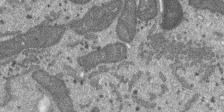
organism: Human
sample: Lung epithelial cells infected with SARS-CoV-2